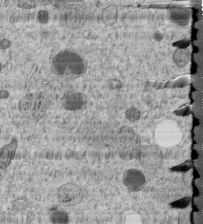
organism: C. elegans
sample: C. elegans embryo early stage